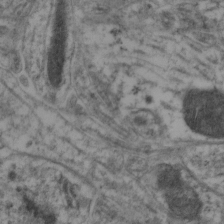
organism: Mouse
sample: Neocortex